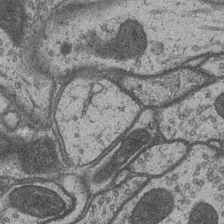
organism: Drosophila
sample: Optic medulla